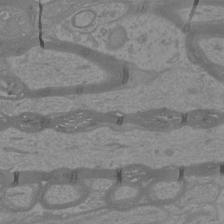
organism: Mouse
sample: Cortical neurons